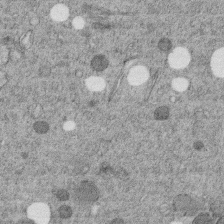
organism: C. elegans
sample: C. elegans embryo early stage